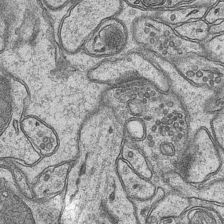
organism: Mouse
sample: CA1 Hippocampus